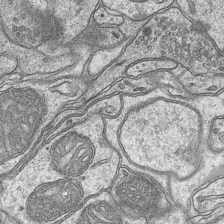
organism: Mouse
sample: CA1 Hippocampus